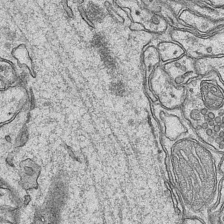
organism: Mouse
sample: CA1 Hippocampus